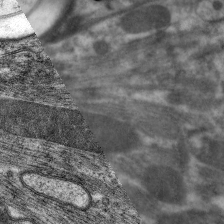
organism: C. elegans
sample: Pharynx